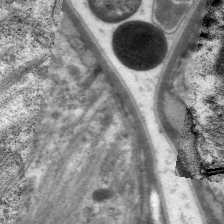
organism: C. elegans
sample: Pharynx